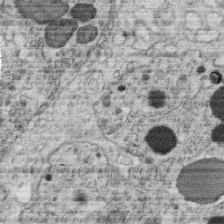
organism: C. elegans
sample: C. elegans oocyte; sperm cells